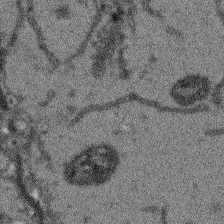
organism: Arabidopsis thaliana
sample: Root tip